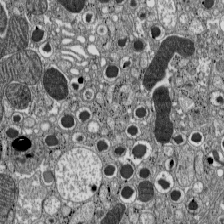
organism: C57BL Mouse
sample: Pancreatic islet